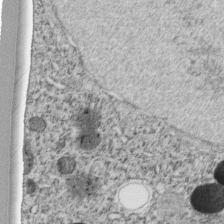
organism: C. elegans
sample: C. elegans embryo early stage